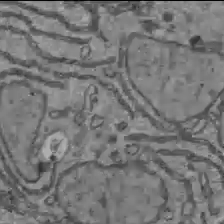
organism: C57BL Mouse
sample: Liver